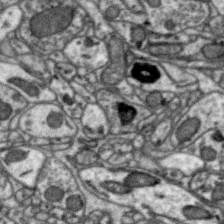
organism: Zebra finch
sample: Brain